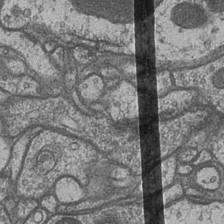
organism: Drosophila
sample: Optic medulla